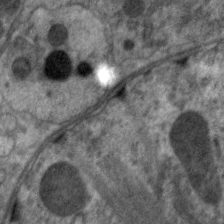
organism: C. elegans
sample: Pharynx